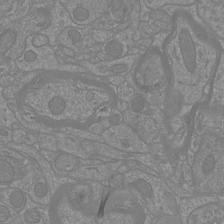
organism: Mouse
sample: Cortical neurons